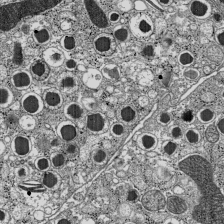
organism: C57BL Mouse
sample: Pancreatic islet